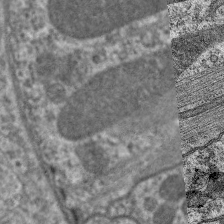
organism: C. elegans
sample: Pharynx